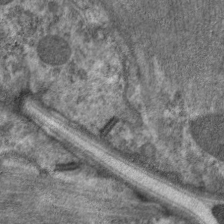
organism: C. elegans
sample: Pharynx